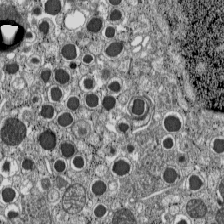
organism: C57BL Mouse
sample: Pancreatic islet